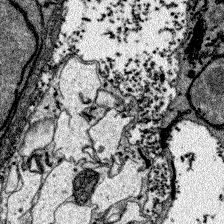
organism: Zebrafish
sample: Larval olfactory bulb